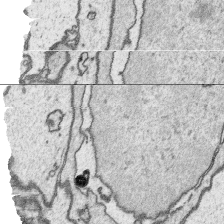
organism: Platynereis dumerilii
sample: Parapodia